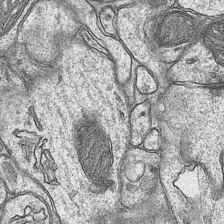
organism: Mouse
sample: CA1 Hippocampus